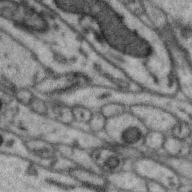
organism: Zebra finch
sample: Brain